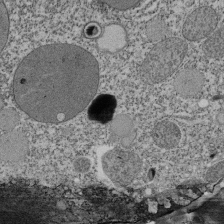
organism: Tetrahymena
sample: Cilia in tetrahymena